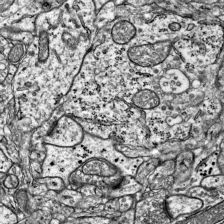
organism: Mouse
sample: Visual Cortex